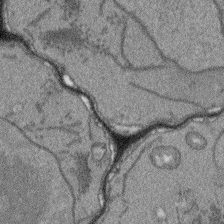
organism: Arabidopsis thaliana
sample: Root tip